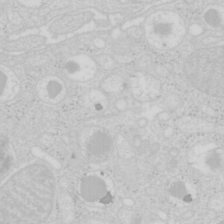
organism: Mouse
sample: Pancreas